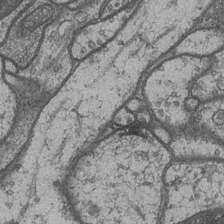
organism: Drosophila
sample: Optic medulla